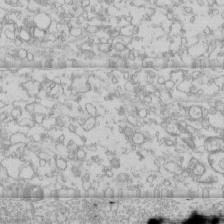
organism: Human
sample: CRL-1474